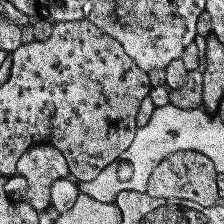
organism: Human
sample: Temporal Lobe